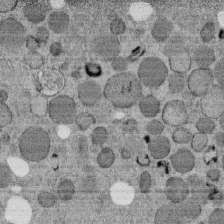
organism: C. elegans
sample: C. elegans embryo early stage